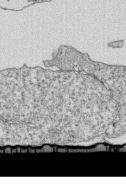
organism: Human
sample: HeLa cell HIV synapse